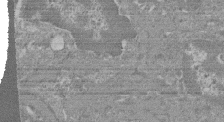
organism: Mouse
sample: Glomerulus